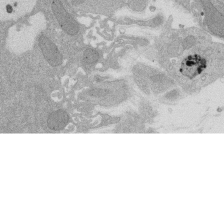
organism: Rat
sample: Salivary granule